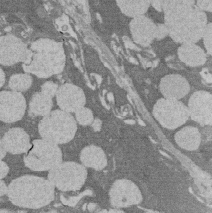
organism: Rat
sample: Salivary granule